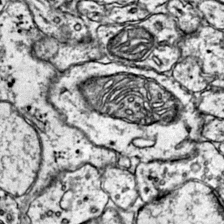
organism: Mouse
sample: Primary visual cortex